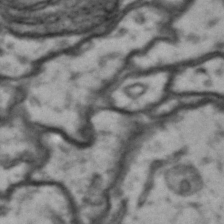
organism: Drosophila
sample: Brain